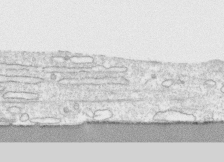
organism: Human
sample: CRL-1474